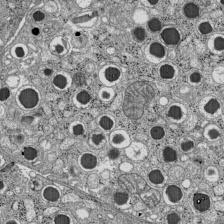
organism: C57BL Mouse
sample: Pancreatic islet